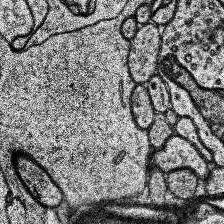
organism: Human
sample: Temporal Lobe